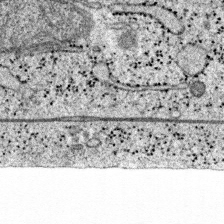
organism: Human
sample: HeLa cells